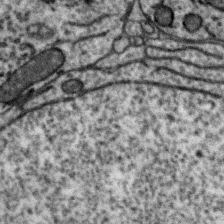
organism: Zebra finch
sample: Brain